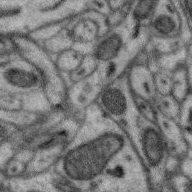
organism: Zebra finch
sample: Brain